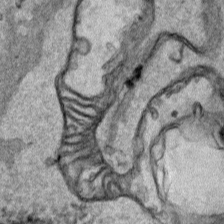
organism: Human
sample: Mitochondria in HCT116 cells